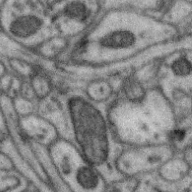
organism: Zebra finch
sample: Brain